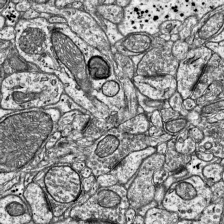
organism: Mouse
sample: Visual Cortex